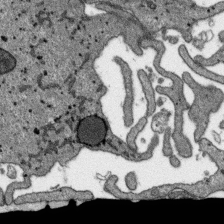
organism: Human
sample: Lung epithelial cells, uninfected (mock) control